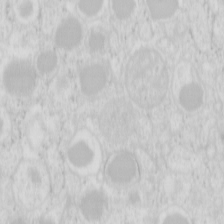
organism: Mouse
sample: Pancreas